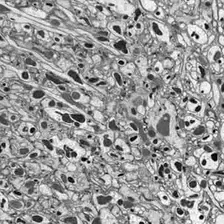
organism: Drosophila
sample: Optic lobe